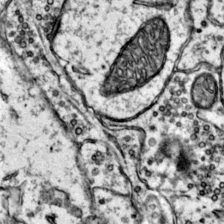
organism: Mouse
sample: Primary visual cortex